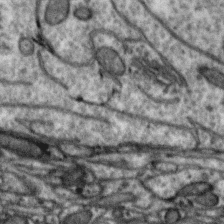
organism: Zebra finch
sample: Brain